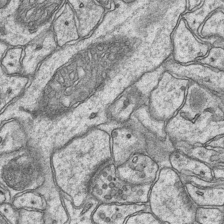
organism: Mouse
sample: CA1 Hippocampus